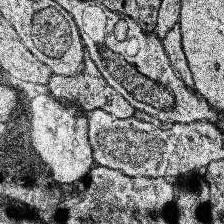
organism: Human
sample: Temporal Lobe